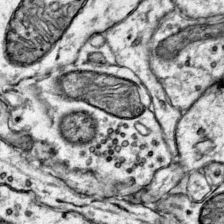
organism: Mouse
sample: Primary visual cortex